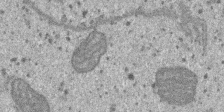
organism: Human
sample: Lung epithelial cells infected with SARS-CoV-2